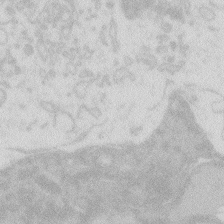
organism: Zebrafish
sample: Macrophage